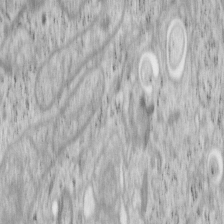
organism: Human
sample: HeLa cells